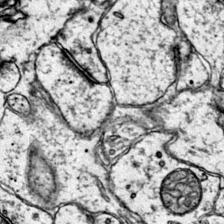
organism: Mouse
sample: Primary visual cortex